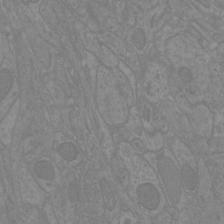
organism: Mouse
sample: Cortical neurons